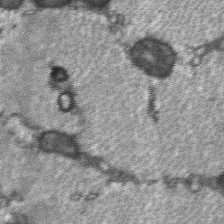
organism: C57BL Mouse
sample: Soleus